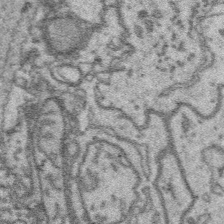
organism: Platynereis dumerilii